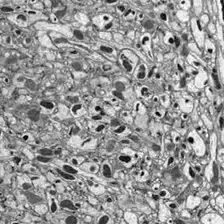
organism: Drosophila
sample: Optic lobe